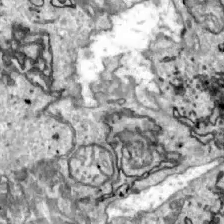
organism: Zebrafish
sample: Actinotrichia fibers